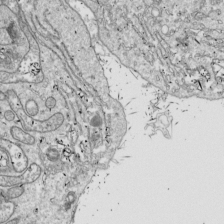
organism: Drosophila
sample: Cell division; meiosis; drosophila spermatocytes